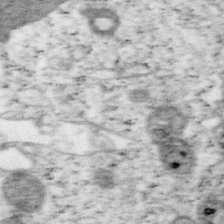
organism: Mouse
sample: OT-I killer T cells with ID8 ovarian cancer cells